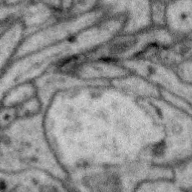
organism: Zebra finch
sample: Brain